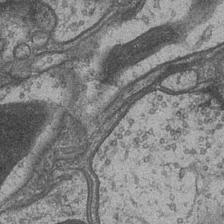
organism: Drosophila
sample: Optic medulla